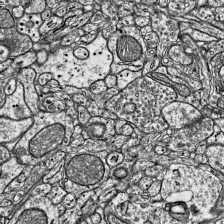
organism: Mouse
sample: Visual Cortex